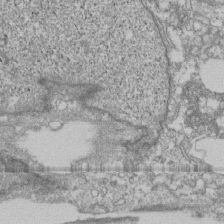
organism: Human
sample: Fibroblast cells